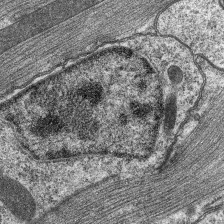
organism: C. elegans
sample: Pharynx